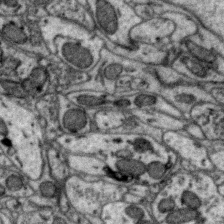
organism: Zebra finch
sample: Brain